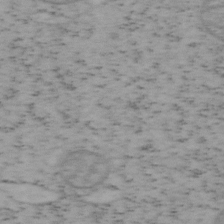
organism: Mouse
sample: OT-I killer T cells with ID8 ovarian cancer cells